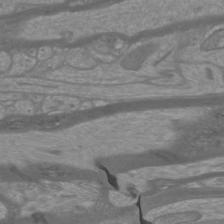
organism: Mouse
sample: Cortical neurons